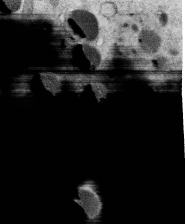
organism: C. elegans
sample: C. elegans oocyte; sperm cells